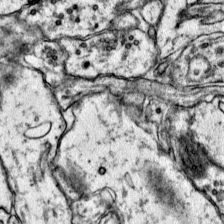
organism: Mouse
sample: Primary visual cortex